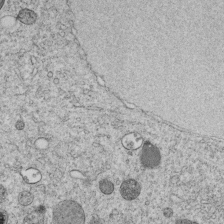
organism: C. elegans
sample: C. elegans embryo early stage